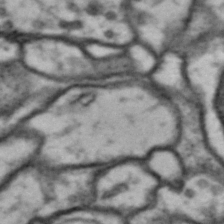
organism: Drosophila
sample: Brain